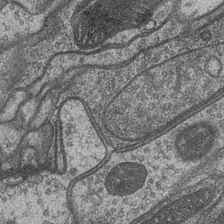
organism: Drosophila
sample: Optic medulla